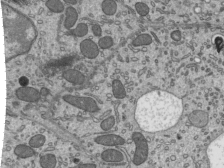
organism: Mouse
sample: Mouse epididymis efferent ductule cilia